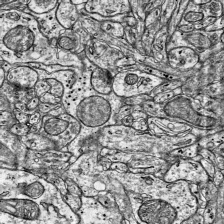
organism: Mouse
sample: Visual Cortex